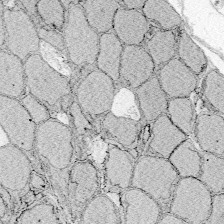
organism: Zebrafish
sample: Whole-Brain